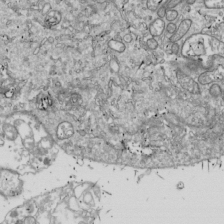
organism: Drosophila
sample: Cell division; meiosis; drosophila spermatocytes